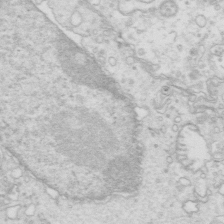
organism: Mouse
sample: Multiciliated cells